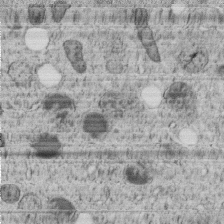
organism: C. elegans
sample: C. elegans embryo early stage